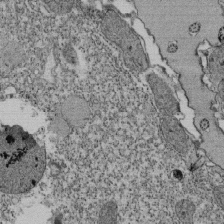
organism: Tetrahymena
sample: Cilia in tetrahymena